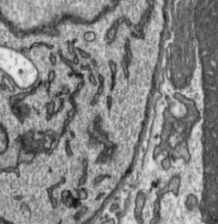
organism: Toxoplasma gondii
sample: Parasites in a vacuole inside a host cell